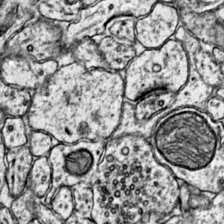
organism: Mouse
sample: Primary visual cortex